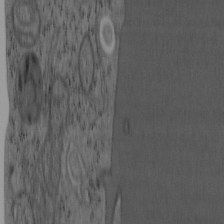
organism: Human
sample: HeLa cells